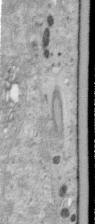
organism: Human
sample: Centriole in RPE cells